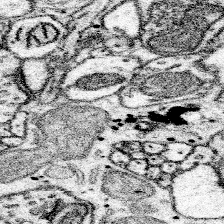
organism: Mouse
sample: Somatosensory cortex neuropil